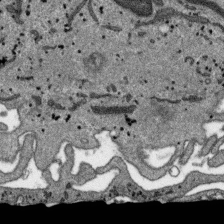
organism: Human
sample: Lung epithelial cells, uninfected (mock) control